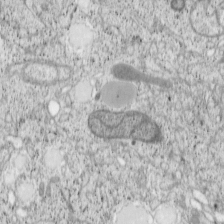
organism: African green monkey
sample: COS-7 cells